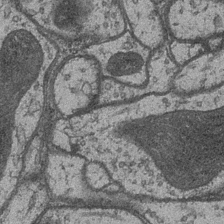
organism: Drosophila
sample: Optic medulla